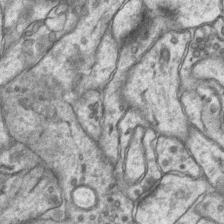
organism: Mouse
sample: CA1 Hippocampus